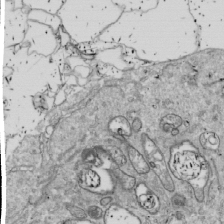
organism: Drosophila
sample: Cell division; meiosis; drosophila spermatocytes